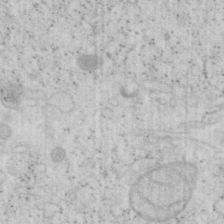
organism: Human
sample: HeLa cells